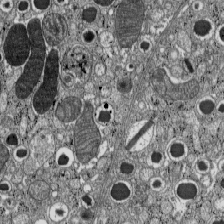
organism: C57BL Mouse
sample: Pancreatic islet